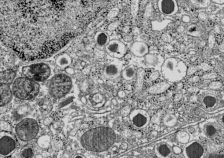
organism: C57BL Mouse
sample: Pancreatic islet